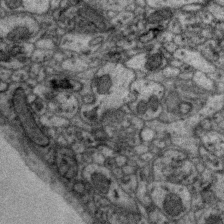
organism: Zebra finch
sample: Brain